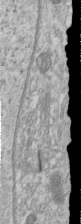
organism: Human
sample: Centriole in RPE cells